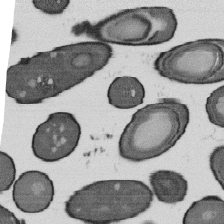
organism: B. subtilis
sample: Bacterial spore